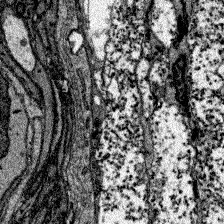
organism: Zebrafish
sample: Larval olfactory bulb